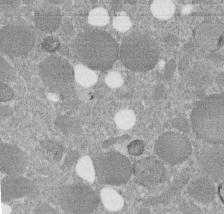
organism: C. elegans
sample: C. elegans embryo early stage